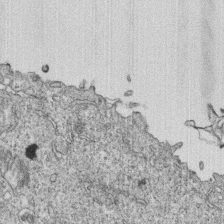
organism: Human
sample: HeLa cell HIV synapse